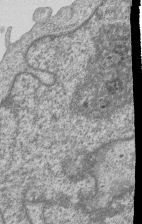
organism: Human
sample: MDA-MB-231 cells